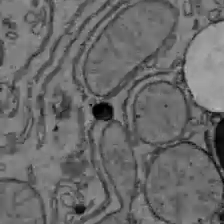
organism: C57BL Mouse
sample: Liver